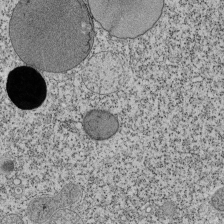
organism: Tetrahymena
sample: Cilia in tetrahymena